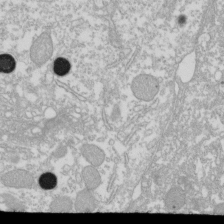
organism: Xenopus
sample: Cilia; centrioles in frog embryo cells